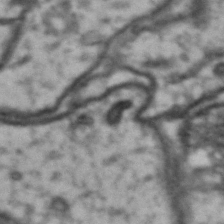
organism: Drosophila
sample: Brain